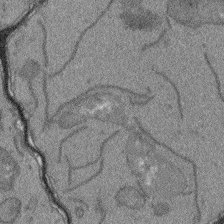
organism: Arabidopsis thaliana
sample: Root tip